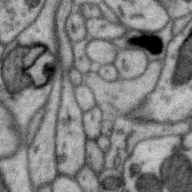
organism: Zebra finch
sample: Brain